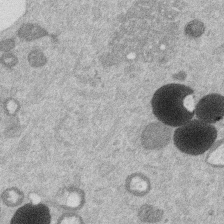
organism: Mouse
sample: Dividing mouse embryo 1 cell stage